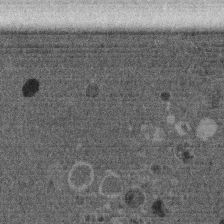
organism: Mouse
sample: Dividing mouse embryo 1 cell stage